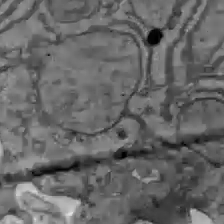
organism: C57BL Mouse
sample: Liver